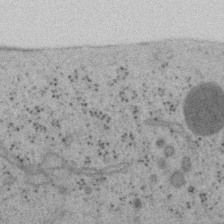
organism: Human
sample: HeLa cells